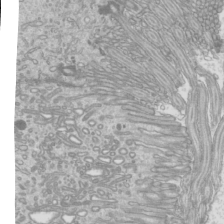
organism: Mouse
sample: Cilia; mouse epididymis